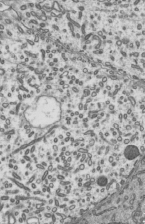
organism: Mouse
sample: Mouse epididymis efferent ductule cilia